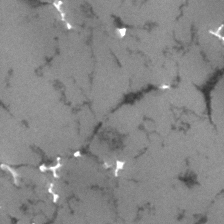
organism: Human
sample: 1205lu cells